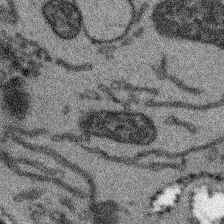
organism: Arabidopsis thaliana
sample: Root tip